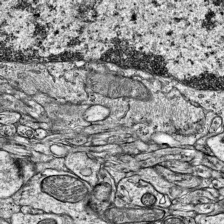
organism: Mouse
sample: Visual Cortex